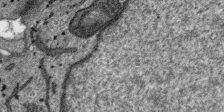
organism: Human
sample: Lung epithelial cells, uninfected (mock) control